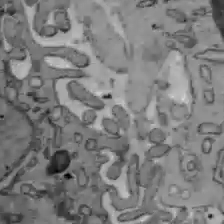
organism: C57BL Mouse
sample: Liver